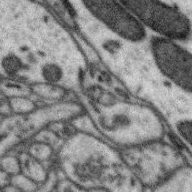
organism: Zebra finch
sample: Brain